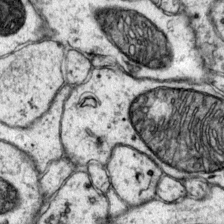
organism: Mouse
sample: Primary visual cortex